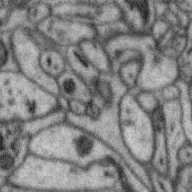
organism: Zebra finch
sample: Brain